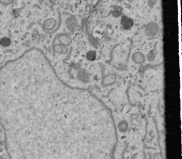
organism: Human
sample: Mitochondria in U2OS cells